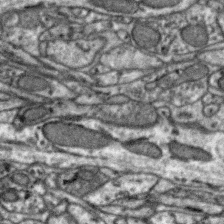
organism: Zebra finch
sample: Brain